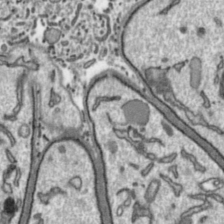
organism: Toxoplasma gondii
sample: Parasites in a vacuole inside a host cell